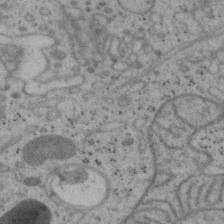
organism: Human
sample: HeLa cells